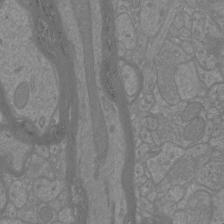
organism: Mouse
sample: Cortical neurons